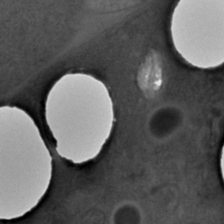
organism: C. elegans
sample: C. elegans embryo